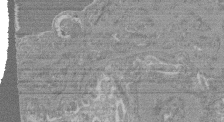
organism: Mouse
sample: Glomerulus